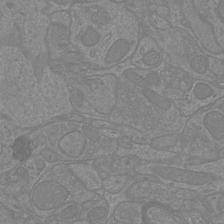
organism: Mouse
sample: Cortical neurons